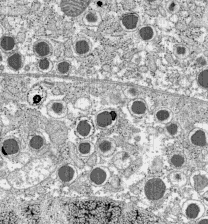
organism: C57BL Mouse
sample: Pancreatic islet